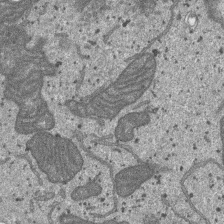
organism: Human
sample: Lung epithelial cells infected with SARS-CoV-2